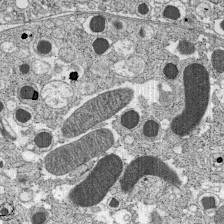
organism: C57BL Mouse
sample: Pancreatic islet